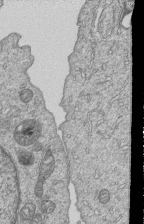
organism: Human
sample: MDA-MB-231 cells